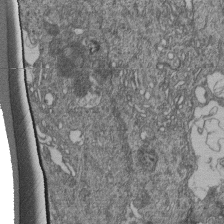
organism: Human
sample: Retinal organoid Rod and Cone cells